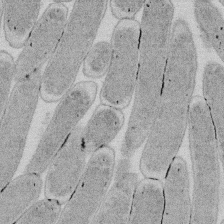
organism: E. coli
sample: Bacterial nucleoid